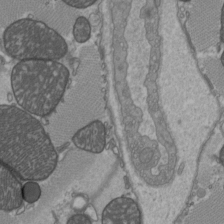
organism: C57BL Mouse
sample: Heart